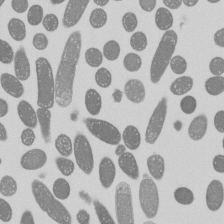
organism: E. coli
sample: Bacterial nucleoid